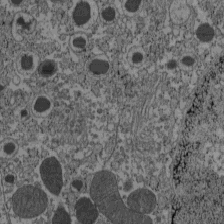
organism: C57BL Mouse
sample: Pancreatic islet